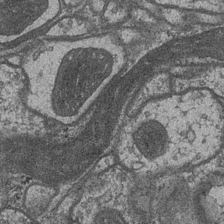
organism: Drosophila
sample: Optic medulla